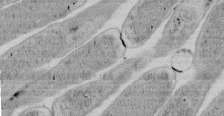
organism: E. coli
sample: Bacterial nucleoid